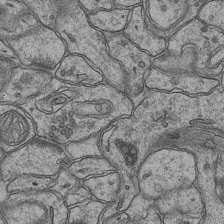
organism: Mouse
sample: CA1 Hippocampus